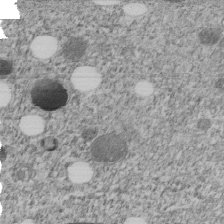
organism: C. elegans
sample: C. elegans embryo early stage